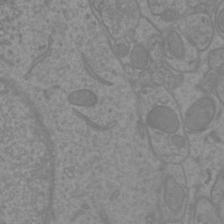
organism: Mouse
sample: Cortical neurons